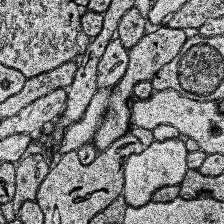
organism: Human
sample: Temporal Lobe